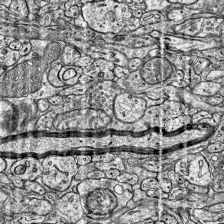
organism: Mouse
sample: Visual Cortex